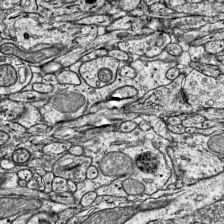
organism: Mouse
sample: Visual Cortex